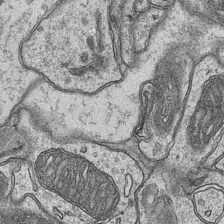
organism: Mouse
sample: CA1 Hippocampus